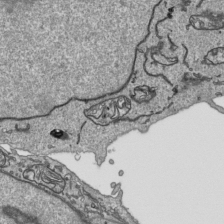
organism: Human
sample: Mitochondria in HCT116 cells